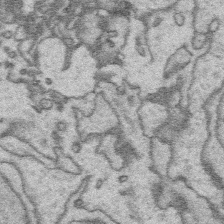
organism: Platynereis dumerilii